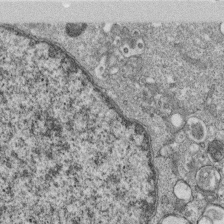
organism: African green monkey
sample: Vero E6 cells infected with SARS-CoV-2